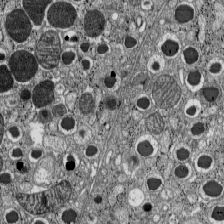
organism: C57BL Mouse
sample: Pancreatic islet